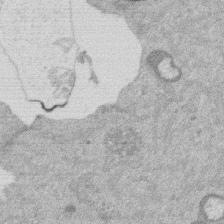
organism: Mouse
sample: Dividing mouse embryo 1 cell stage